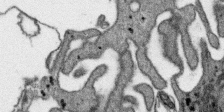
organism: Human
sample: Lung epithelial cells, uninfected (mock) control